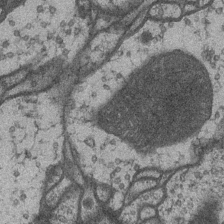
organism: Drosophila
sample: Optic medulla